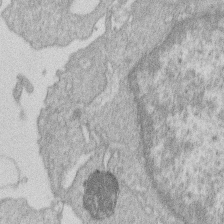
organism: Human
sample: Macrophage cells